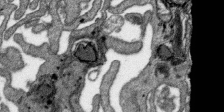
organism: Human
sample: Lung epithelial cells, uninfected (mock) control